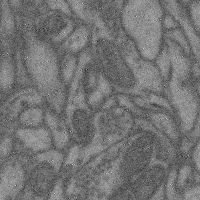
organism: Mouse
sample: Cerebral cortex